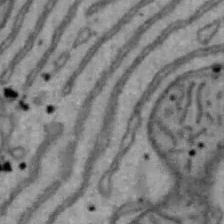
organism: Mouse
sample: Liver